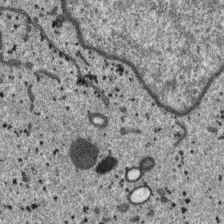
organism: Human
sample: Lung epithelial cells infected with SARS-CoV-2